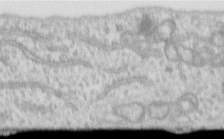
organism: Human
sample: Centriole in RPE cells